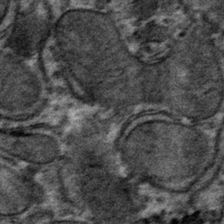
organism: Mouse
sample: Mouse hepatocytes